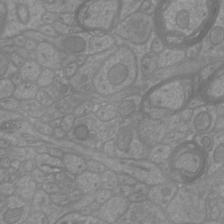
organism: Mouse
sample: Cortical neurons